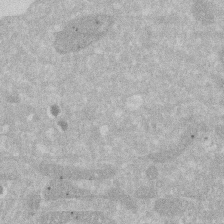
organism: Human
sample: HIV infected U937 cells